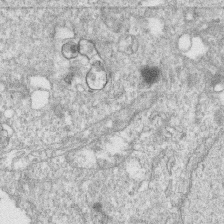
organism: Human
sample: HeLa cell HIV synapse